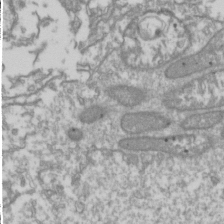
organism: Drosophila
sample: Cell division; meiosis; drosophila spermatocytes